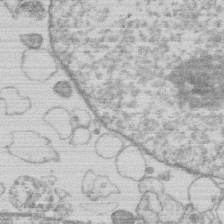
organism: Human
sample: Macrophage cells